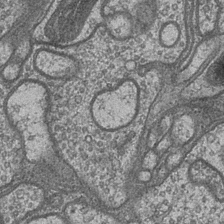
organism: Drosophila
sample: Optic medulla